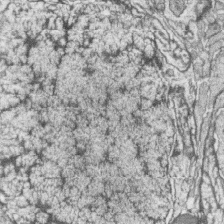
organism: Zebrafish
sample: synaptic ribbons in rod cells and cone cells